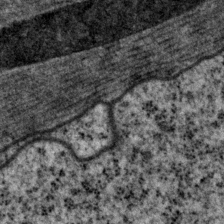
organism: P. pacificus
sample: Pharynx